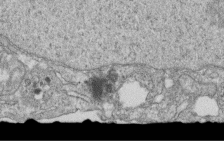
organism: Human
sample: HeLa cell HIV synapse